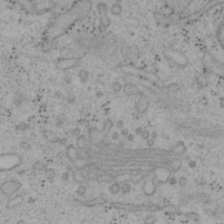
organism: Human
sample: HeLa cells